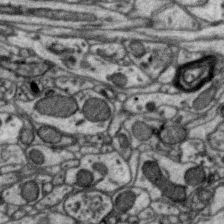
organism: Zebra finch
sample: Brain